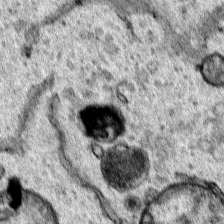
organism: Human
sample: Mitochondria in HCT116 cells